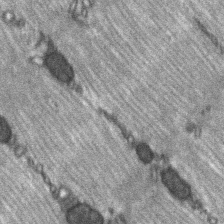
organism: C57BL Mouse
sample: Soleus